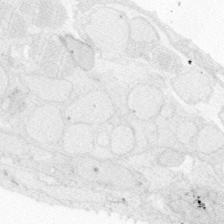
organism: Zebrafish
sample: Whole-Brain